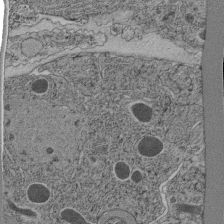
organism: C. elegans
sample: C. elegans pharynx